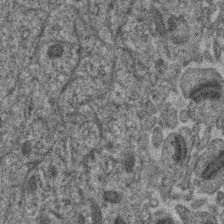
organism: Human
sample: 1205lu cells